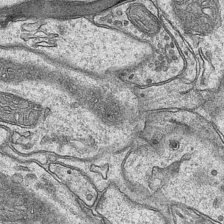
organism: Mouse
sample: CA1 Hippocampus